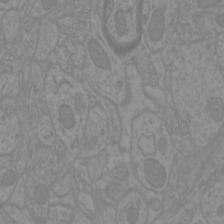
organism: Mouse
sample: Cortical neurons